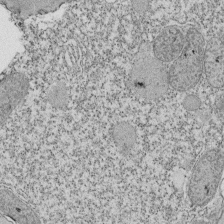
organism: Tetrahymena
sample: Cilia in tetrahymena